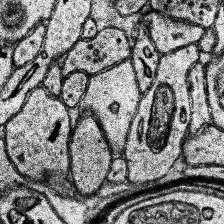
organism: Human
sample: Temporal Lobe